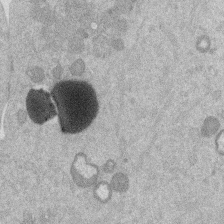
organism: Mouse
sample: Dividing mouse embryo 1 cell stage